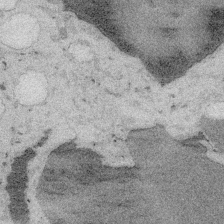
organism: Embia sp.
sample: Silk gland